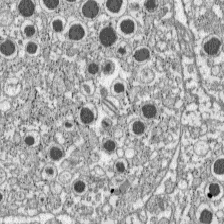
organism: C57BL Mouse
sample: Pancreatic islet